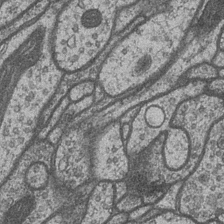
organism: Drosophila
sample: Optic medulla